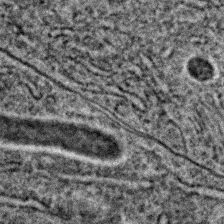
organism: C. elegans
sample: C. elegans embryo